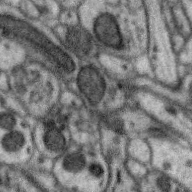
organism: Zebra finch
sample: Brain